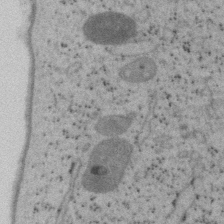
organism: Human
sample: HeLa cells